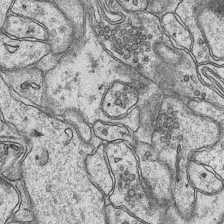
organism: Mouse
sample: CA1 Hippocampus